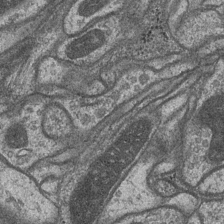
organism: Drosophila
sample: Optic medulla